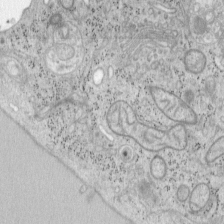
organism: Mouse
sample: OT-I killer T cells with ID8 ovarian cancer cells